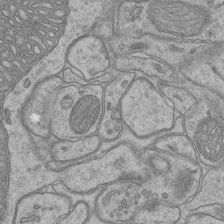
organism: Mouse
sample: CA1 Hippocampus